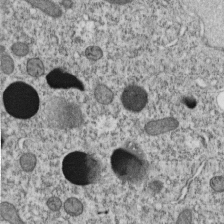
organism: C. elegans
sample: C. elegans embryo early stage